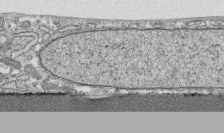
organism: Human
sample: CRL-1474